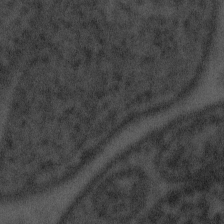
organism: Tuwongella immobilis